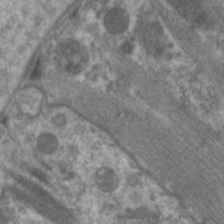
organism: C. elegans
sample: Pharynx